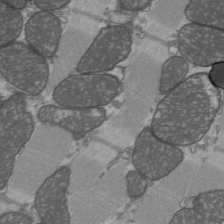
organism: C57BL Mouse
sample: Heart